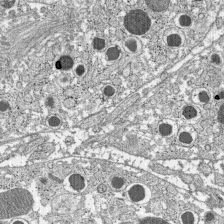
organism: C57BL Mouse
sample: Pancreatic islet